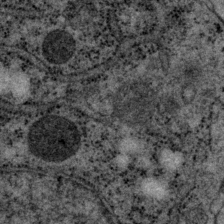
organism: P. pacificus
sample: Pharynx